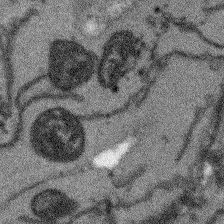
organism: Arabidopsis thaliana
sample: Root tip